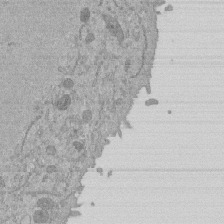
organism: Mouse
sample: ED-1 cell nuclei; centrioles